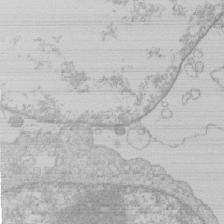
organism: Human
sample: Macrophage cells